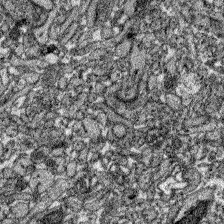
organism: Zebrafish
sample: Larval olfactory bulb